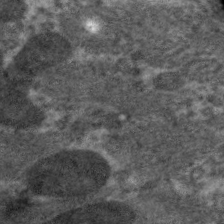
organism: C. elegans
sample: Pharynx